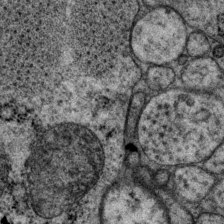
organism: P. pacificus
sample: Pharynx